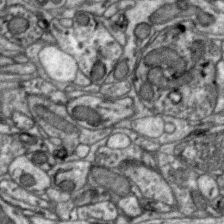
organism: Zebra finch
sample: Brain